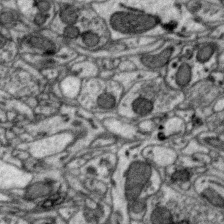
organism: Zebra finch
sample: Brain